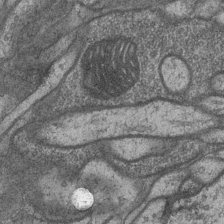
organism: Drosophila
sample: Optic medulla